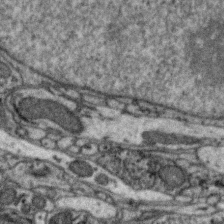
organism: Zebra finch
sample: Brain